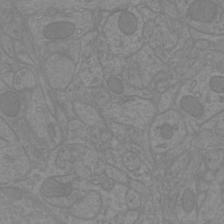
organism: Mouse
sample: Cortical neurons